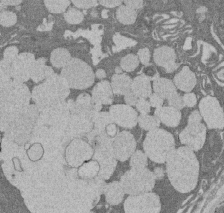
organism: Rat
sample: Salivary granule